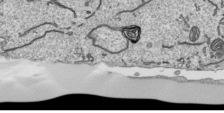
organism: Human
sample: Mitochondria in HCT116 cells